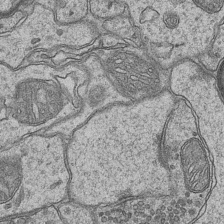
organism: Mouse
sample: CA1 Hippocampus